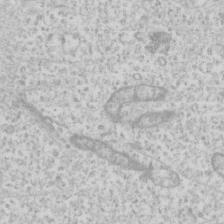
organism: Human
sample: Fibroblast cells